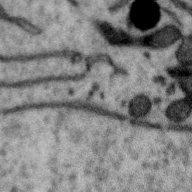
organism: Zebra finch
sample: Brain